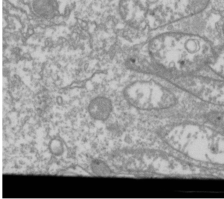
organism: Drosophila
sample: Cell division; meiosis; drosophila spermatocytes